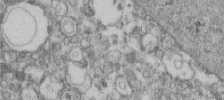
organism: Human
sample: Centriole in fibroblast cells